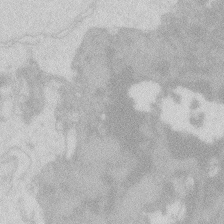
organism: Zebrafish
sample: Macrophage